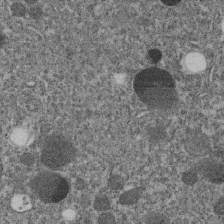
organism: C. elegans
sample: C. elegans embryo early stage